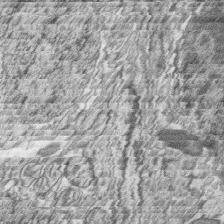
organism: Zebrafish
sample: synaptic ribbons in rod cells and cone cells